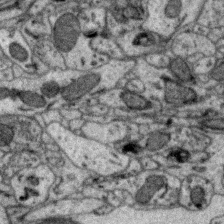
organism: Zebra finch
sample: Brain